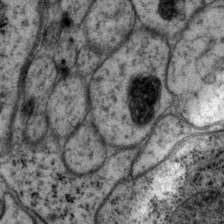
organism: P. pacificus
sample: Pharynx